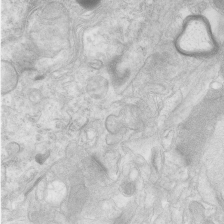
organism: Human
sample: Neocortex